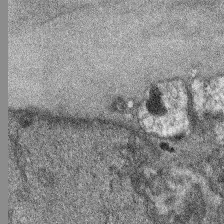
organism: Mouse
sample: Corneal nerves